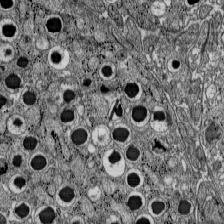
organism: C57BL Mouse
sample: Pancreatic islet